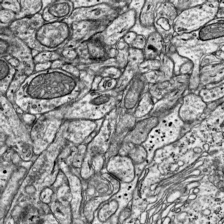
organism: Mouse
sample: Visual Cortex